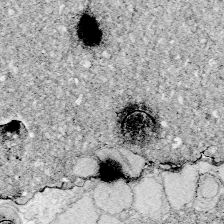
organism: Zebrafish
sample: Whole-Brain